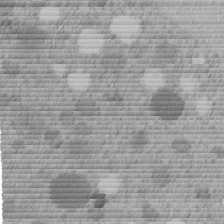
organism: C. elegans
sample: C. elegans embryo early stage